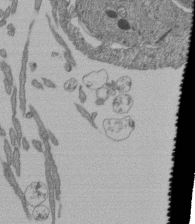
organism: Human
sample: Retinal organoid Rod and Cone cells